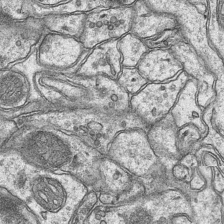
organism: Mouse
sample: CA1 Hippocampus